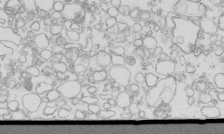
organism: Mouse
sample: Macrophages